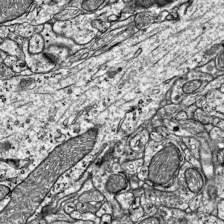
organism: Mouse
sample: Visual Cortex